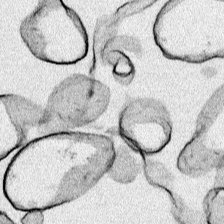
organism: Human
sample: Mitochondria in HCT116 cells